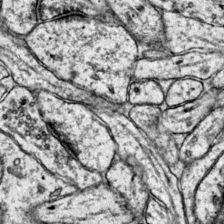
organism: Mouse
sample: Primary visual cortex